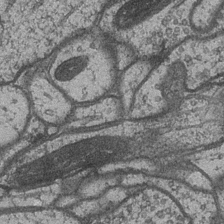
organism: Drosophila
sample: Optic medulla